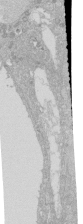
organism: Human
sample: Caco-2 cells